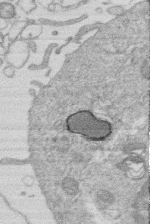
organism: Human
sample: Macrophage cells